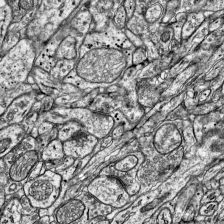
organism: Mouse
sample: Visual Cortex